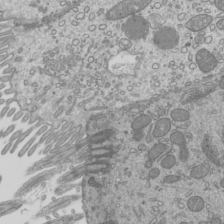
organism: Mouse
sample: Cilia; mouse epididymis